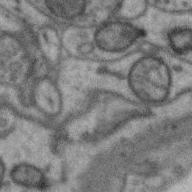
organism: Zebra finch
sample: Brain